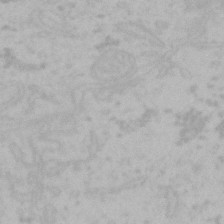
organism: Mouse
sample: Choroid plexus